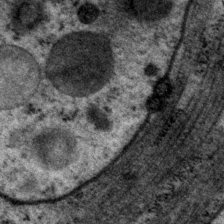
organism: P. pacificus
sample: Pharynx